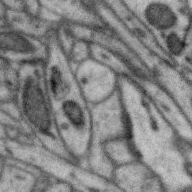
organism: Zebra finch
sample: Brain